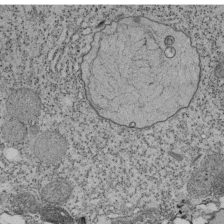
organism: Tetrahymena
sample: Cilia in tetrahymena